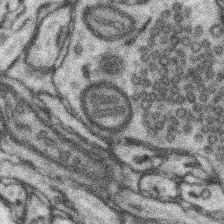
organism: Mouse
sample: Somatosensory cortex neuropil